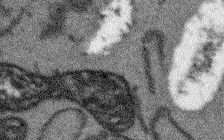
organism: Arabidopsis thaliana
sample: Root tip